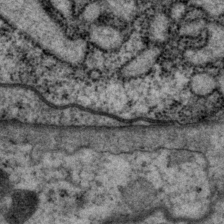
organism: P. pacificus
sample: Pharynx